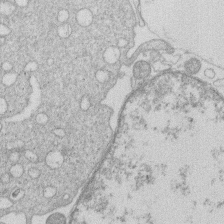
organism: Human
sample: Macrophage cells